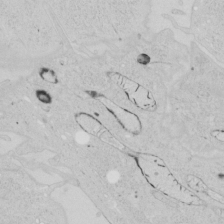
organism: Human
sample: Mitochondria in HCT116 cells